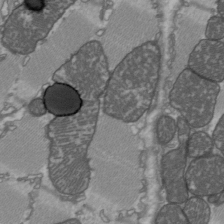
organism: C57BL Mouse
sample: Heart